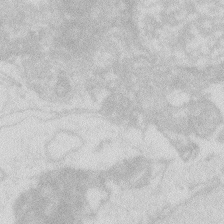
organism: Zebrafish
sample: Macrophage